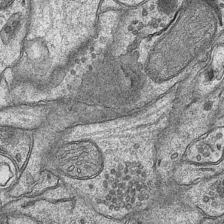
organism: Mouse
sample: CA1 Hippocampus